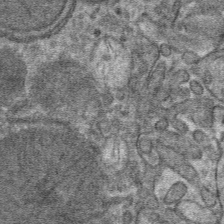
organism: Mouse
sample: Mouse hepatocytes